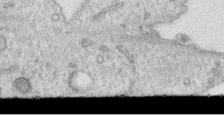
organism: Human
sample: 1205lu cells